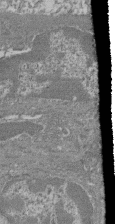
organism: Mouse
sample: Glomerulus